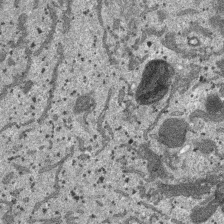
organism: Human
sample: Lung epithelial cells infected with SARS-CoV-2